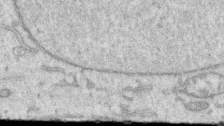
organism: Human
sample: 1205lu cells